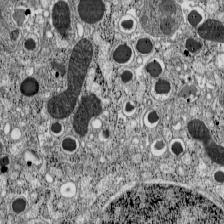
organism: C57BL Mouse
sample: Pancreatic islet